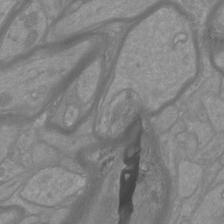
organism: Mouse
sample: Cortical neurons